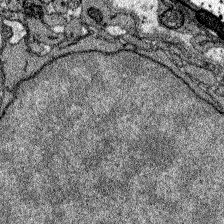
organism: Zebrafish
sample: Larval olfactory bulb